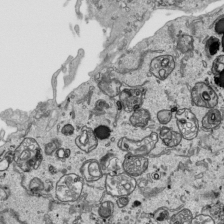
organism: Human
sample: Mitochondria in HCT116 cells